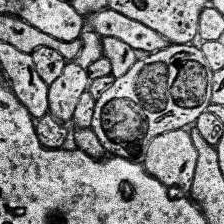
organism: Human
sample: Temporal Lobe